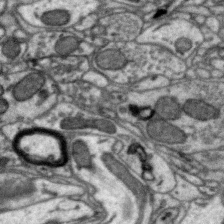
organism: Zebra finch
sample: Brain